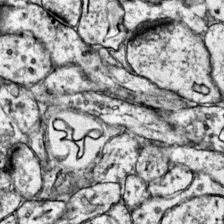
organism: Mouse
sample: Primary visual cortex